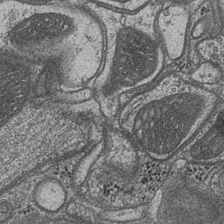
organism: Drosophila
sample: Optic medulla